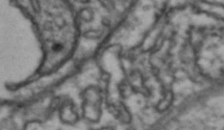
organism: Drosophila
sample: Brain